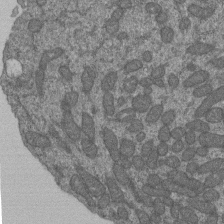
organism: Human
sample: Retinal organoid Rod and Cone cells